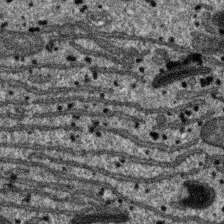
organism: Human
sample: Lung epithelial cells infected with SARS-CoV-2